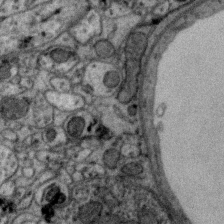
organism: Zebra finch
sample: Brain